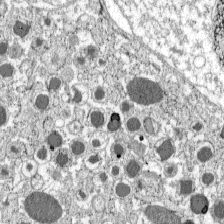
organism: C57BL Mouse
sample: Pancreatic islet